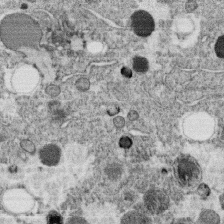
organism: C. elegans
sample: C. elegans oocyte; sperm cells